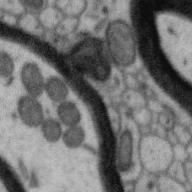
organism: Zebra finch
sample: Brain